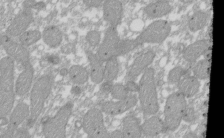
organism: Xenopus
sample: Cilia; centrioles in frog embryo cells